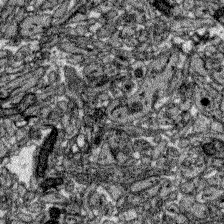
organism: Zebrafish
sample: Larval olfactory bulb